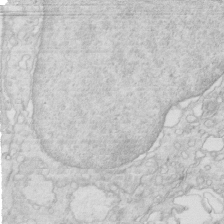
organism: Mouse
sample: Multiciliated cells